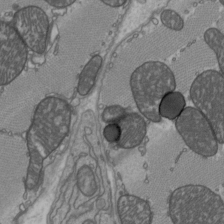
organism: C57BL Mouse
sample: Heart